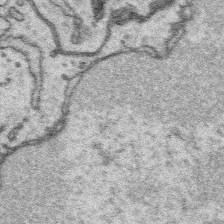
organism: Platynereis dumerilii